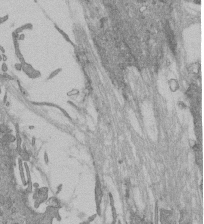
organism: Mouse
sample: ED-1 cell nuclei; centrioles